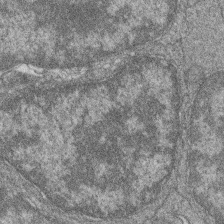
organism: Zebrafish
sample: Cilia; retinal pigment epithelium